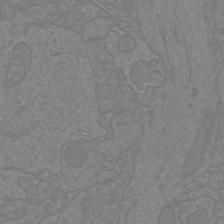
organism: Mouse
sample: Cortical neurons